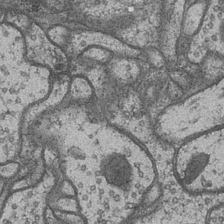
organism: Drosophila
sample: Optic medulla